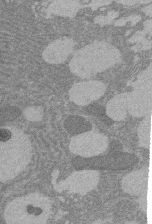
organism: Rat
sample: Salivary granule